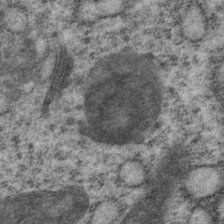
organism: P. pacificus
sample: Pharynx